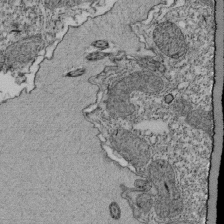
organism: Tetrahymena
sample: Cilia in tetrahymena